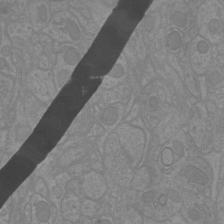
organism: Mouse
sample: Cortical neurons